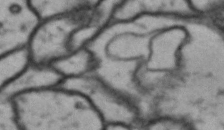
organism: Drosophila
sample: Brain